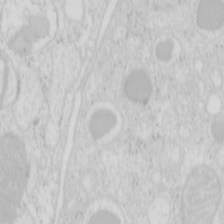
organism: Mouse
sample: Pancreas